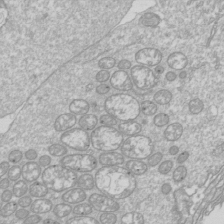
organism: Drosophila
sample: Cell division; meiosis; drosophila spermatocytes